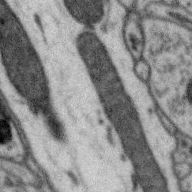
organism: Zebra finch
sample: Brain